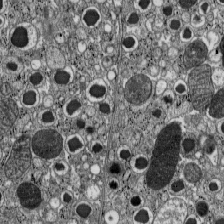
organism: C57BL Mouse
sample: Pancreatic islet